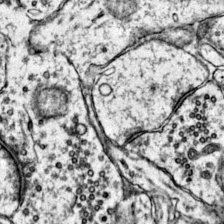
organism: Mouse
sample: Primary visual cortex